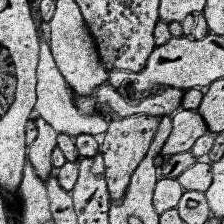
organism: Human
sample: Temporal Lobe